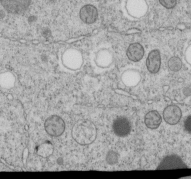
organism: C. elegans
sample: C. elegans embryo early stage